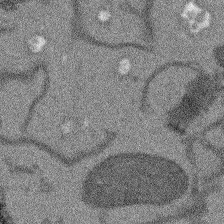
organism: Arabidopsis thaliana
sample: Root tip